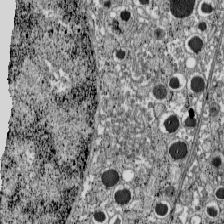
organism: C57BL Mouse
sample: Pancreatic islet